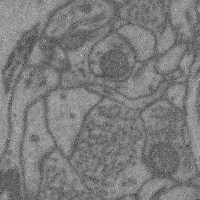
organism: Mouse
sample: Cerebral cortex